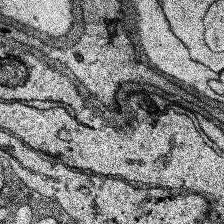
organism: Human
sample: Temporal Lobe